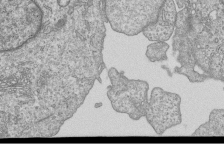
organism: Human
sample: MDA-MB-231 cells